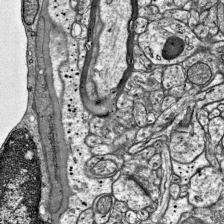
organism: Mouse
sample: Visual Cortex